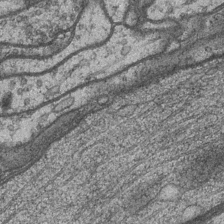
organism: Drosophila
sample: Optic medulla